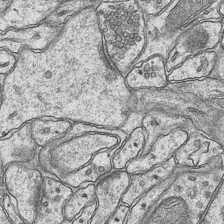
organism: Mouse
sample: CA1 Hippocampus